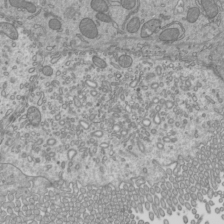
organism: Mouse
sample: Cilia; mouse epididymis